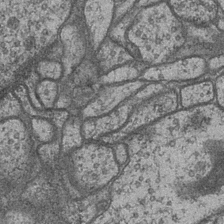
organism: Drosophila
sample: Optic medulla